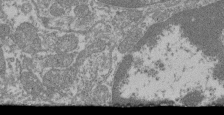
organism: Mouse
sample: Glomerulus